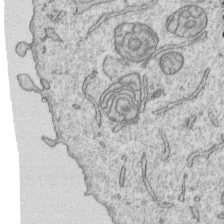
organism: Human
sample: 1205lu cells